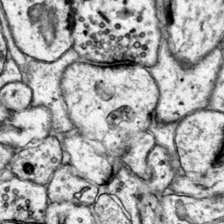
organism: Mouse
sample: Primary visual cortex